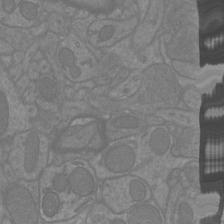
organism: Mouse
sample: Cortical neurons